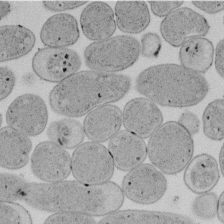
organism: E. coli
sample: Bacterial nucleoid